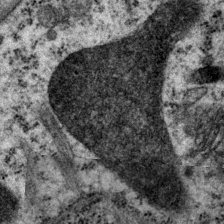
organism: P. pacificus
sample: Pharynx